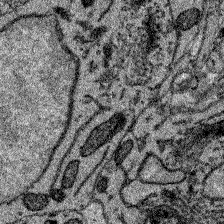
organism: Zebrafish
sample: Larval olfactory bulb